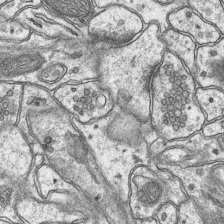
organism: Mouse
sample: CA1 Hippocampus